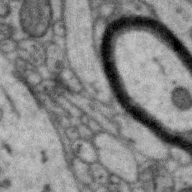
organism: Zebra finch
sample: Brain